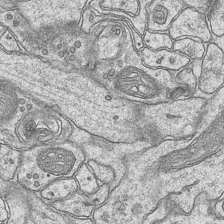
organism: Mouse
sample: CA1 Hippocampus